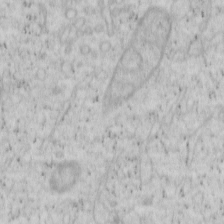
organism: Human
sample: HeLa cells